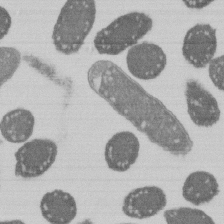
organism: E. coli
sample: Bacterial nucleoid